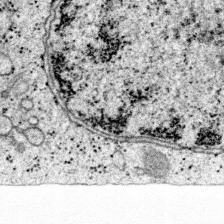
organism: Human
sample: HeLa cells